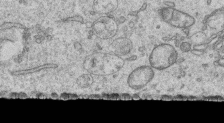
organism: Human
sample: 1205lu cells